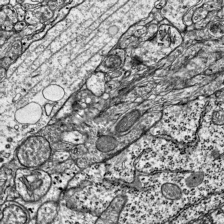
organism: Mouse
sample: Visual Cortex